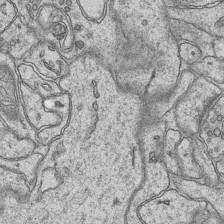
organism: Mouse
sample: CA1 Hippocampus